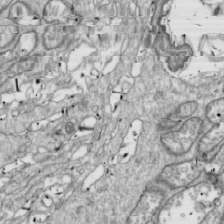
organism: Drosophila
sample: Cell division; meiosis; drosophila spermatocytes